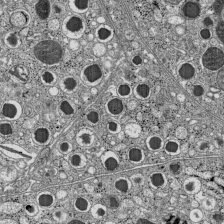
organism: C57BL Mouse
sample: Pancreatic islet